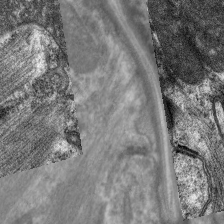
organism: C. elegans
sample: Pharynx